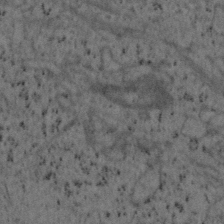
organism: Human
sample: HeLa cells